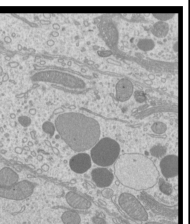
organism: Mouse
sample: Cilia; mouse epididymis